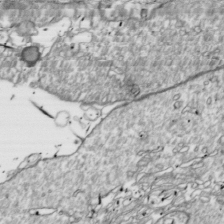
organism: Drosophila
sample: Cell division; meiosis; drosophila spermatocytes